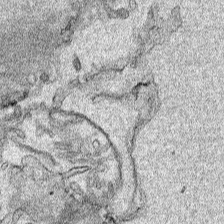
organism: Human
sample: Mitochondria in HCT116 cells